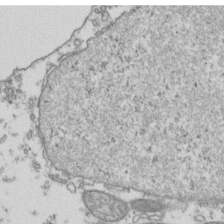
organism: Human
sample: Activated Jurkat CD4+ T cells